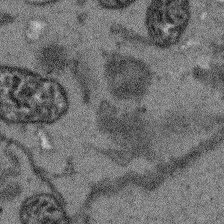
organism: Arabidopsis thaliana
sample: Root tip